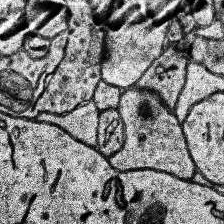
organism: Human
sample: Temporal Lobe